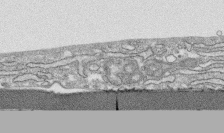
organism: Human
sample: CRL-1474